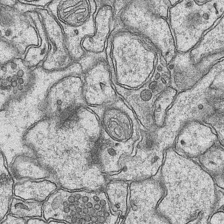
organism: Mouse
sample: CA1 Hippocampus